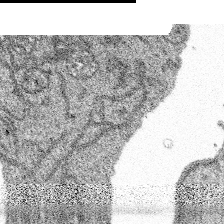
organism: Spongilla lacustris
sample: Multiple